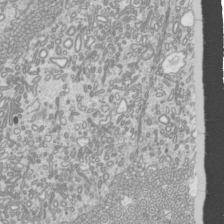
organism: Mouse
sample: Cilia; mouse epididymis